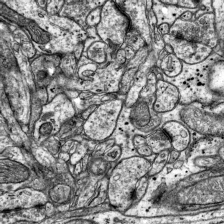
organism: Mouse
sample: Visual Cortex